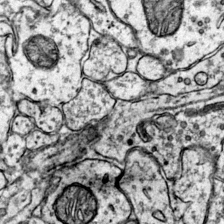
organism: Mouse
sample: Primary visual cortex